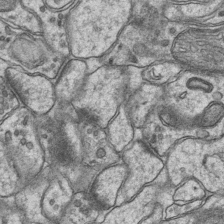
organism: Mouse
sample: CA1 Hippocampus